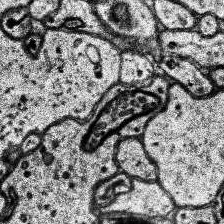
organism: Human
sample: Temporal Lobe